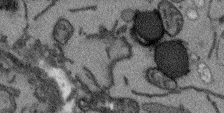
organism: Arabidopsis thaliana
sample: Root tip